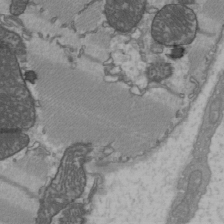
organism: C57BL Mouse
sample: Heart